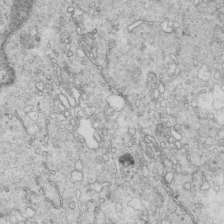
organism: Mouse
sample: Multiciliated cells